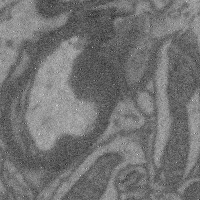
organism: Mouse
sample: Cerebral cortex